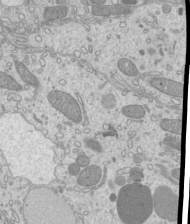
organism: Mouse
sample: Cilia; mouse epididymis